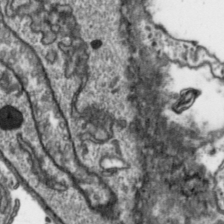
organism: Toxoplasma gondii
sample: Parasites in a vacuole inside a host cell